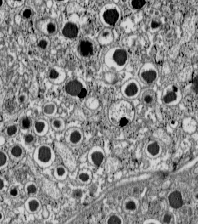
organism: C57BL Mouse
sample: Pancreatic islet